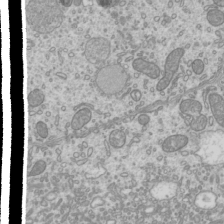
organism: Mouse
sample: Cilia; mouse epididymis